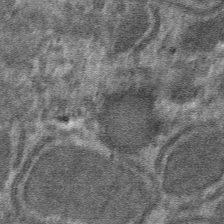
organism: Mouse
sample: Mouse hepatocytes